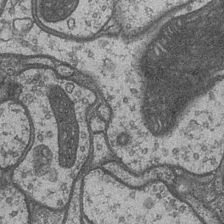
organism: Drosophila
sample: Optic medulla